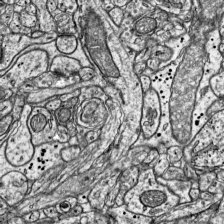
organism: Mouse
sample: Visual Cortex